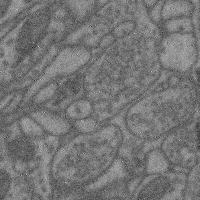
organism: Mouse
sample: Cerebral cortex